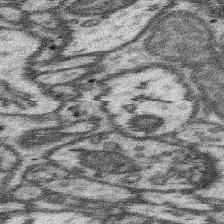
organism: Mouse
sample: Somatosensory cortex neuropil